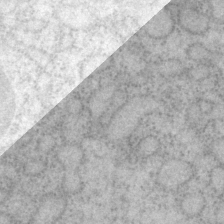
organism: P. pacificus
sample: Pharynx